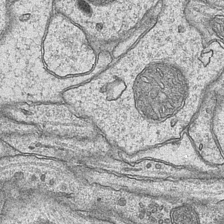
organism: Mouse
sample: CA1 Hippocampus